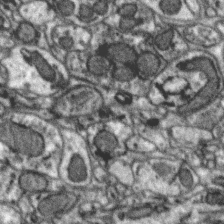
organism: Zebra finch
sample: Brain